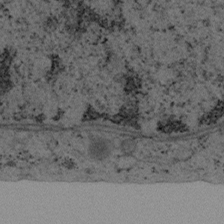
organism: Human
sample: HeLa cells